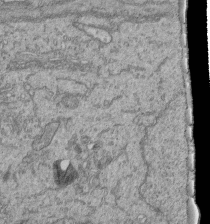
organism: Human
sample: Retinal organoid Rod and Cone cells